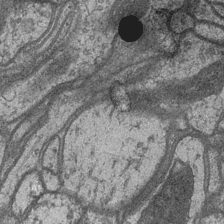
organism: Drosophila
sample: Optic medulla